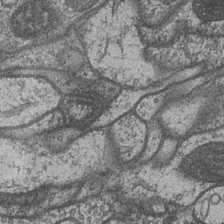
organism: Drosophila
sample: Optic medulla